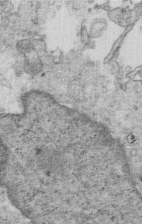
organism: Mouse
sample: Multiciliated cells